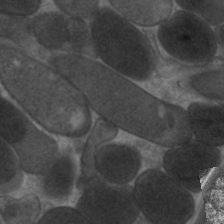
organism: C. elegans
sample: Pharynx